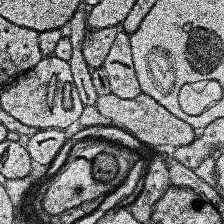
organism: Human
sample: Temporal Lobe